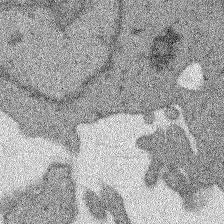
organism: Human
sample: HeLa cells